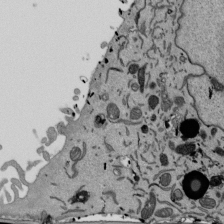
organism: Mouse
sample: ED-1 cell nuclei; centrioles